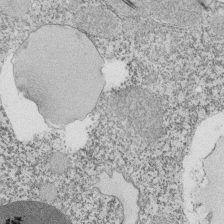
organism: Tetrahymena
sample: Cilia in tetrahymena